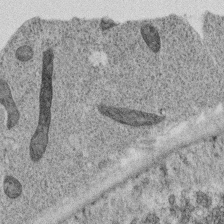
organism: C. elegans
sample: C. elegans oocyte; sperm cells